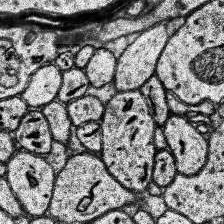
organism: Human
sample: Temporal Lobe